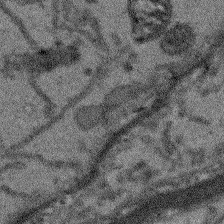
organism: Arabidopsis thaliana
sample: Root tip